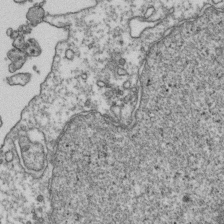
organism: Human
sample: Activated Jurkat CD4+ T cells